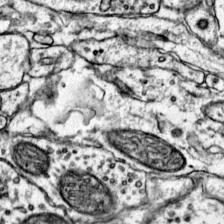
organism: Mouse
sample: Primary visual cortex